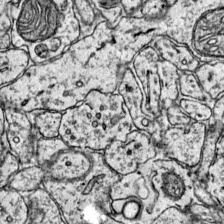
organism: Mouse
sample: Primary visual cortex